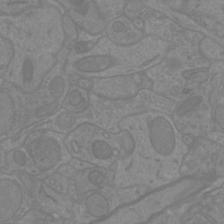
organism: Mouse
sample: Cortical neurons